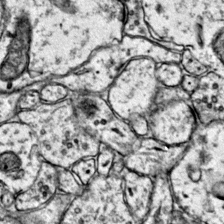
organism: Mouse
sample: Primary visual cortex